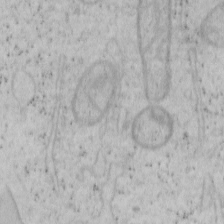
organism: Human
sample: HeLa cells